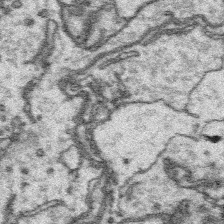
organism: Platynereis dumerilii